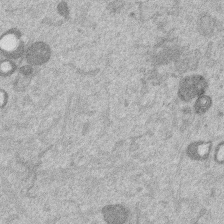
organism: Mouse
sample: Dividing mouse embryo 1 cell stage